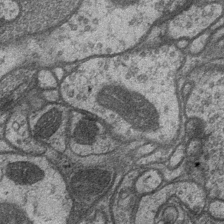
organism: Drosophila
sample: Optic medulla